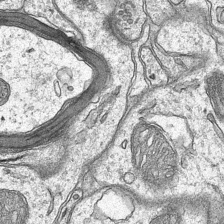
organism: Mouse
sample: CA1 Hippocampus